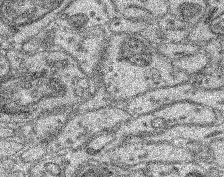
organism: Mouse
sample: Retina